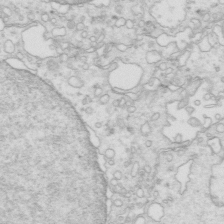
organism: Mouse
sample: Multiciliated cells